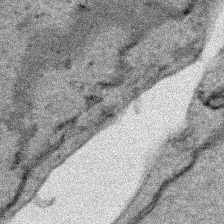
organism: Human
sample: Mitochondria in HCT116 cells